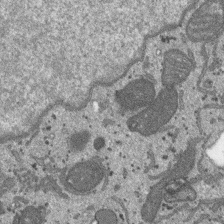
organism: Human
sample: Lung epithelial cells infected with SARS-CoV-2